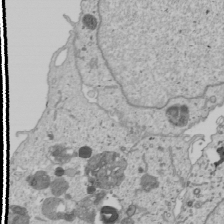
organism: Human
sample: Mitochondria in U2OS cells